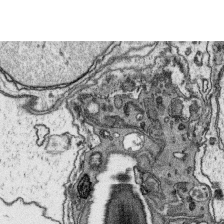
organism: Platynereis dumerilii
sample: Parapodia